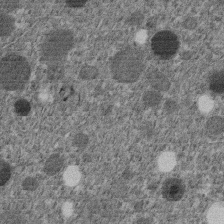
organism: C. elegans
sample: C. elegans embryo early stage